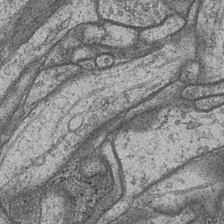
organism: Drosophila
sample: Optic medulla